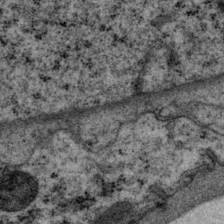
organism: P. pacificus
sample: Pharynx